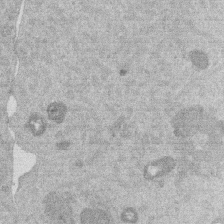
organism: Mouse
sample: Dividing mouse embryo 1 cell stage